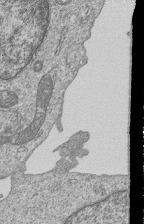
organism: Human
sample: MDA-MB-231 cells